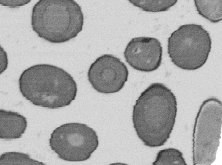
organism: B. subtilis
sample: Bacterial spore